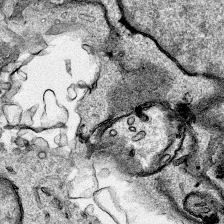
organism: Human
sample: Mitochondria in HCT116 cells